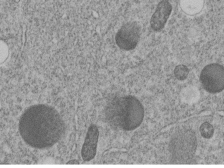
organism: C. elegans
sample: C. elegans embryo early stage